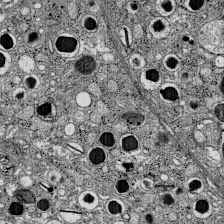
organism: C57BL Mouse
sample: Pancreatic islet